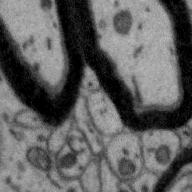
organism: Zebra finch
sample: Brain